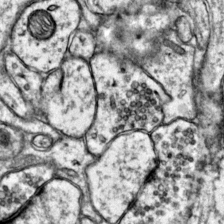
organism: Mouse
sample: Primary visual cortex